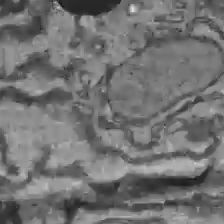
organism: C57BL Mouse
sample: Liver